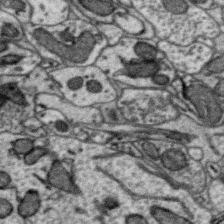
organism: Zebra finch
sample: Brain